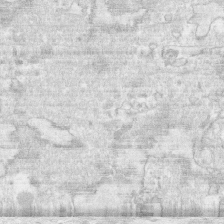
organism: Human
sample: CRL-1474